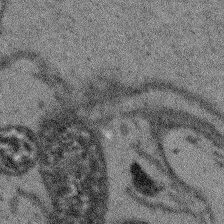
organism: Arabidopsis thaliana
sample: Root tip